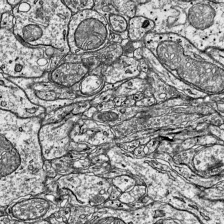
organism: Mouse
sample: Visual Cortex